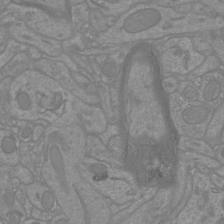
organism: Mouse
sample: Cortical neurons